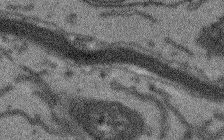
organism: Arabidopsis thaliana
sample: Root tip